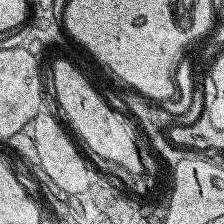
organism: Human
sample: Temporal Lobe